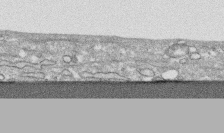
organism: Human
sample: CRL-1474